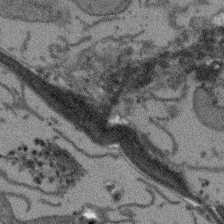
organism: Arabidopsis thaliana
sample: Root tip